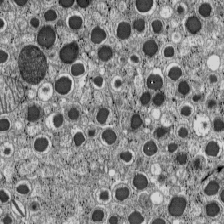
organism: C57BL Mouse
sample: Pancreatic islet